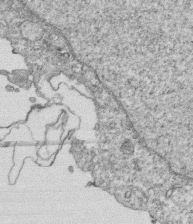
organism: Human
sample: HeLa cell HIV synapse